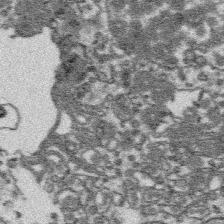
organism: Platynereis dumerilii